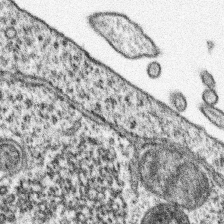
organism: Human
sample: HeLa cells